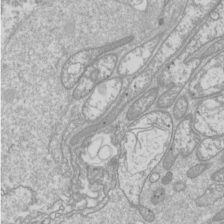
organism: Drosophila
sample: Cell division; meiosis; drosophila spermatocytes